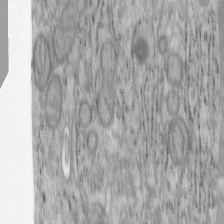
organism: Human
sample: HeLa cells